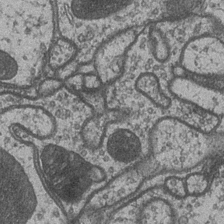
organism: Drosophila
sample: Optic medulla